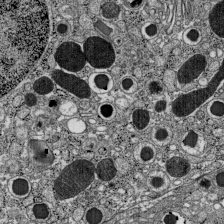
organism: C57BL Mouse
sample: Pancreatic islet